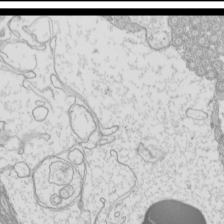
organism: Mouse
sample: Cilia; mouse epididymis